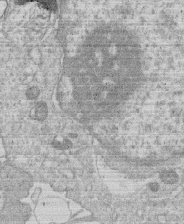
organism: Human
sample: Macrophage cells